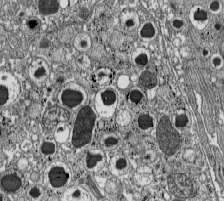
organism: C57BL Mouse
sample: Pancreatic islet